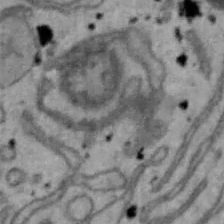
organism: Mouse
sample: Liver